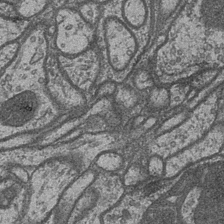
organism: Drosophila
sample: Optic medulla